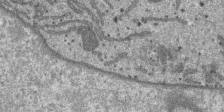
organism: Human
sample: Lung epithelial cells infected with SARS-CoV-2